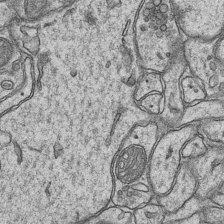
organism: Mouse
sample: CA1 Hippocampus